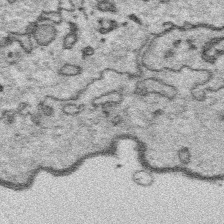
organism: Platynereis dumerilii